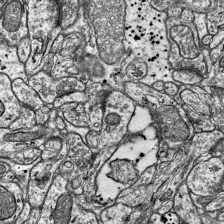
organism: Mouse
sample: Visual Cortex